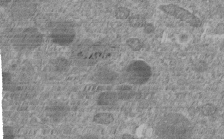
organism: C. elegans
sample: C. elegans embryo early stage